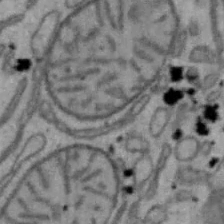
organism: Mouse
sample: Liver